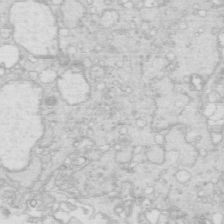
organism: Mouse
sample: Multiciliated cells